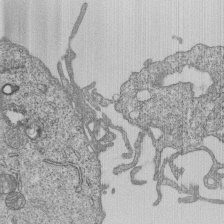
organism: Human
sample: MDA-MB-231 cells